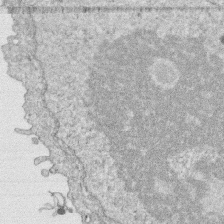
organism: Human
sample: HeLa cell HIV synapse